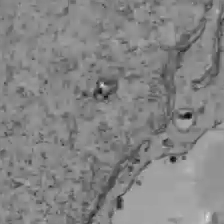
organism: C57BL Mouse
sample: Liver